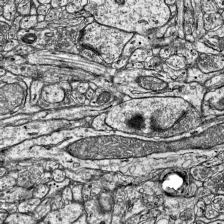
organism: Mouse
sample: Visual Cortex